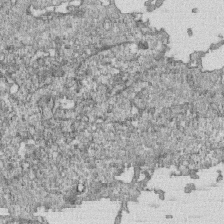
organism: Human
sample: HeLa cell HIV synapse